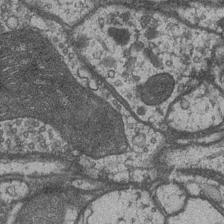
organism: Drosophila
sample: Optic medulla